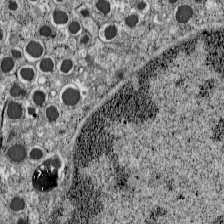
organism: C57BL Mouse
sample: Pancreatic islet